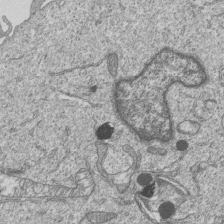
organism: Human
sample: MDA-MB-231 cells